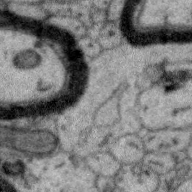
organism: Zebra finch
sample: Brain